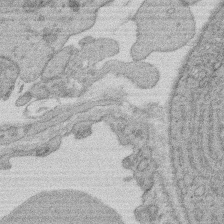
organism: Rat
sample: Salivary granule